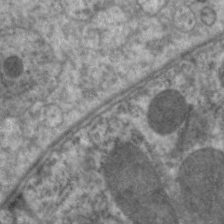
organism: C. elegans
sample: Pharynx